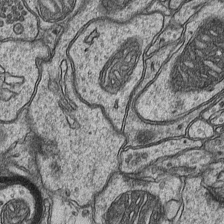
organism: Mouse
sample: CA1 Hippocampus